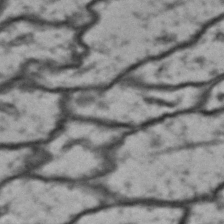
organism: Drosophila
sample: Brain